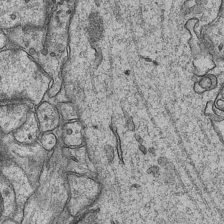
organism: Mouse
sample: CA1 Hippocampus